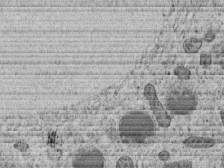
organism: C. elegans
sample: C. elegans embryo early stage